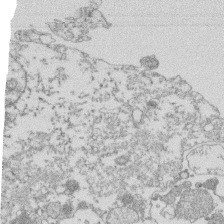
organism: Human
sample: HeLa cell HIV synapse